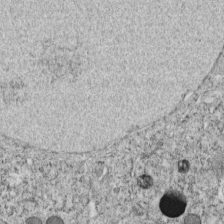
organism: C. elegans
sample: C. elegans embryo early stage